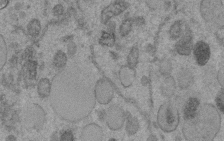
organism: C. elegans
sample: C. elegans embryo early stage